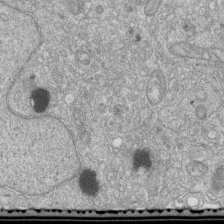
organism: Human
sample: HeLa cell HIV synapse